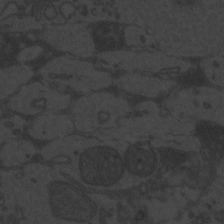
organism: Zebrafish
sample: Macrophage infected with Toxoplasma gondii